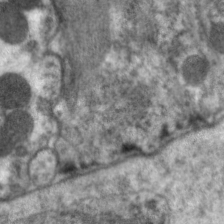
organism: C. elegans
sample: Pharynx